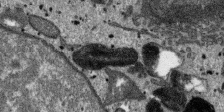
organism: Human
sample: Lung epithelial cells, uninfected (mock) control